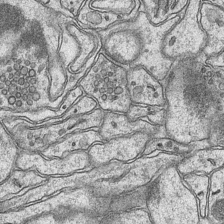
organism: Mouse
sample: CA1 Hippocampus